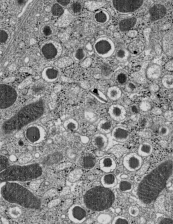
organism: C57BL Mouse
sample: Pancreatic islet